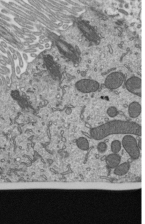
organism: Mouse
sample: Mouse epididymis efferent ductule cilia